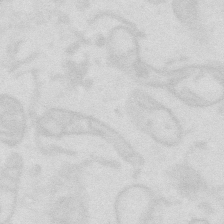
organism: Human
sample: HeLa cells